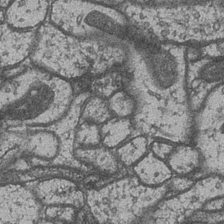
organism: Drosophila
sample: Optic medulla